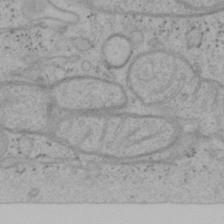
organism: Human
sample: HeLa cells